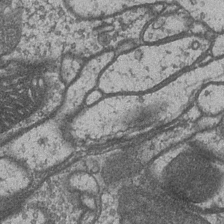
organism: Drosophila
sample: Optic medulla